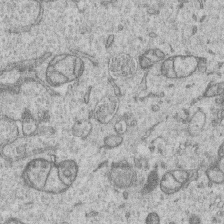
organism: Human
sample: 1205lu cells